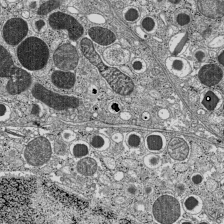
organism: C57BL Mouse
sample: Pancreatic islet